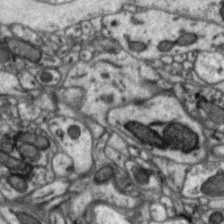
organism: Zebra finch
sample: Brain